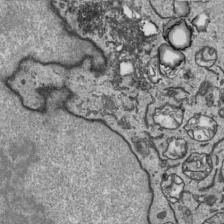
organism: Human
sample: Mitochondria in HCT116 cells